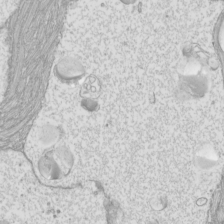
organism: Mouse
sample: Cilia; mouse epididymis